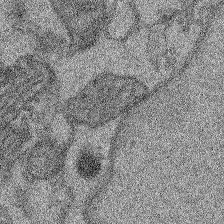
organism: Human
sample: HeLa cells